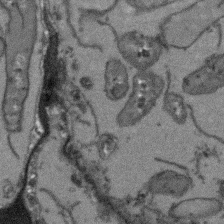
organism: Arabidopsis thaliana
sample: Root tip